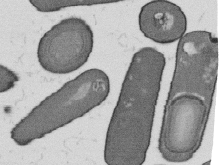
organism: B. subtilis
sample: Bacterial spore